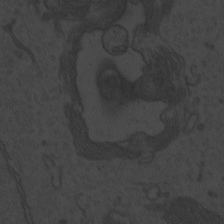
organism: Zebrafish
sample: Macrophage infected with Toxoplasma gondii